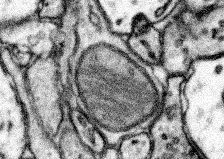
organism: Mouse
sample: Somatosensory cortex neuropil